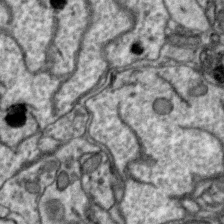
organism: Zebra finch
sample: Brain